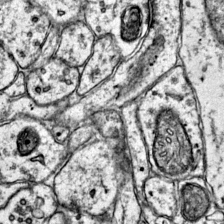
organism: Mouse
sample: Primary visual cortex